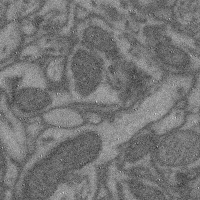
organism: Mouse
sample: Cerebral cortex